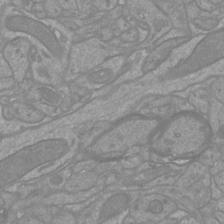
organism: Mouse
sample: Cortical neurons